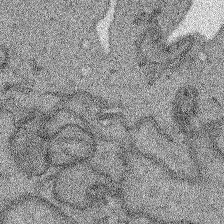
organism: Human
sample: HeLa cells